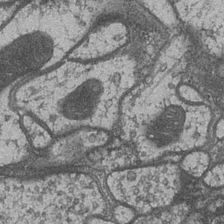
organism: Drosophila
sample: Optic medulla